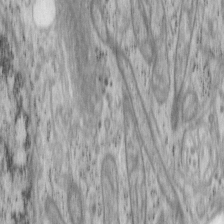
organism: Human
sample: HeLa cells